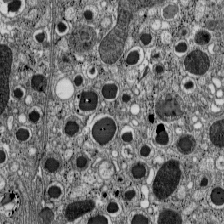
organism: C57BL Mouse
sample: Pancreatic islet